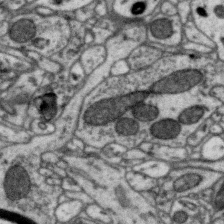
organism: Zebra finch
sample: Brain